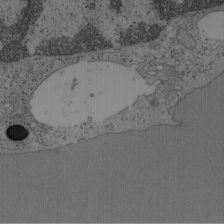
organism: Mouse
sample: OT-I killer T cells with ID8 ovarian cancer cells